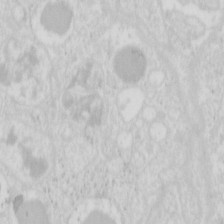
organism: Mouse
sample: Pancreas